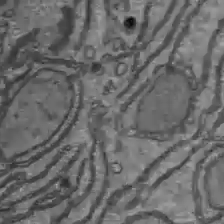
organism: C57BL Mouse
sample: Liver